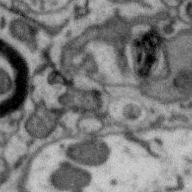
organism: Zebra finch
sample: Brain